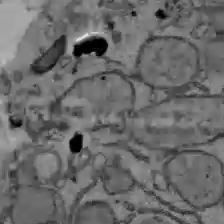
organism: C57BL Mouse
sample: Liver